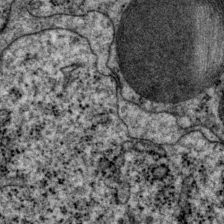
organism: P. pacificus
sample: Pharynx